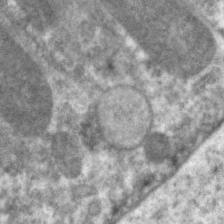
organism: C. elegans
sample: Pharynx